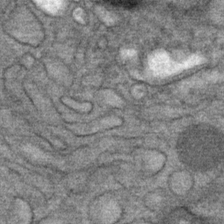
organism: Mouse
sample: Mouse Salivary gland